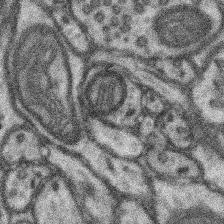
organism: Mouse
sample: Somatosensory cortex neuropil